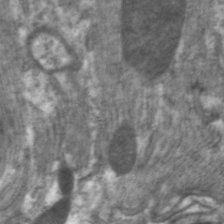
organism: C. elegans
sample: Pharynx